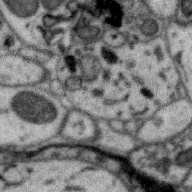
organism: Zebra finch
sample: Brain